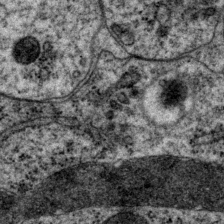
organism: P. pacificus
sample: Pharynx